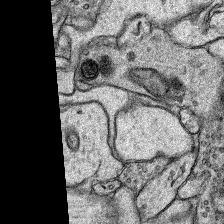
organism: Rat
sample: Hippocampus